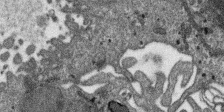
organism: Human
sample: Lung epithelial cells infected with SARS-CoV-2